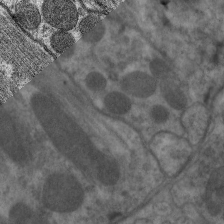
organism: C. elegans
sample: Pharynx